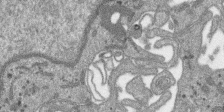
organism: Human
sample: Lung epithelial cells infected with SARS-CoV-2